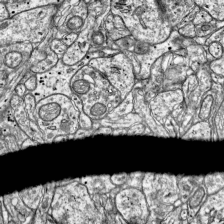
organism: Mouse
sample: Visual Cortex